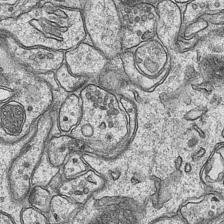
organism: Mouse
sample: CA1 Hippocampus